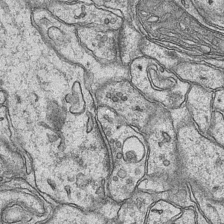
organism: Mouse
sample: CA1 Hippocampus